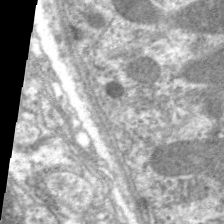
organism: C. elegans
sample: Pharynx